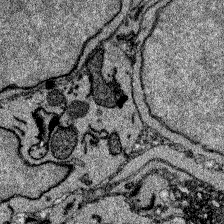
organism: Zebrafish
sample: Larval olfactory bulb